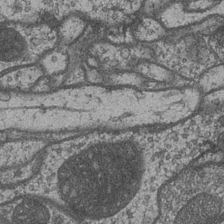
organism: Drosophila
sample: Optic medulla